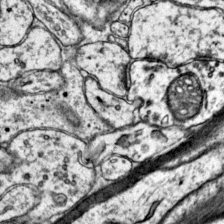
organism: Mouse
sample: Primary visual cortex